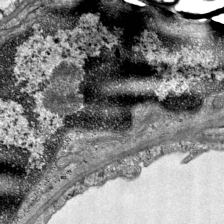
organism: Mouse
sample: Visual Cortex